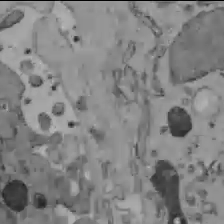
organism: C57BL Mouse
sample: Liver